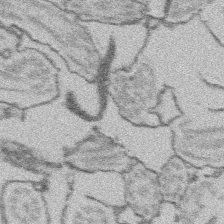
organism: Platynereis dumerilii